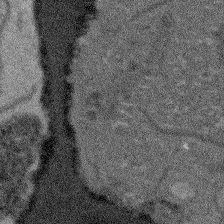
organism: Arabidopsis thaliana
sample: Root tip